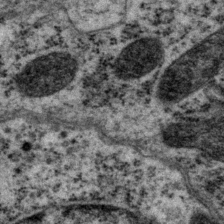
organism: P. pacificus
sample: Pharynx